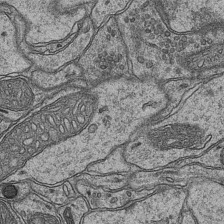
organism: Mouse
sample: CA1 Hippocampus